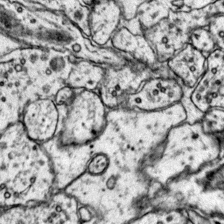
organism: Mouse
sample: Primary visual cortex